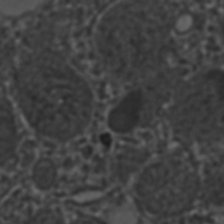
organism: C. elegans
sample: C. elegans embryo